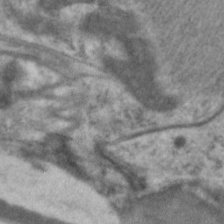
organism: C. elegans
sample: Pharynx